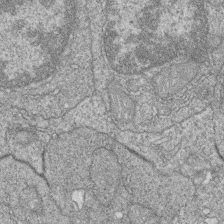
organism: Zebrafish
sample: Cilia; retinal pigment epithelium